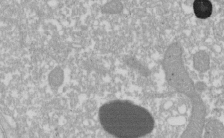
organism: Xenopus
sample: Cilia; centrioles in frog embryo cells